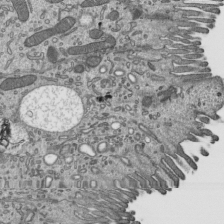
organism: Mouse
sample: Mouse epididymis efferent ductule cilia